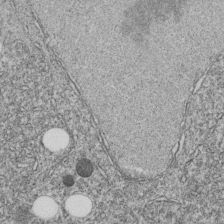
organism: C. elegans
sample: C. elegans embryo early stage